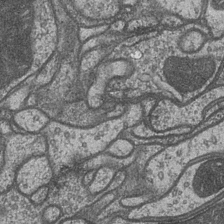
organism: Drosophila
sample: Optic medulla